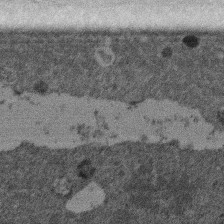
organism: Mouse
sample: Dividing mouse embryo 1 cell stage